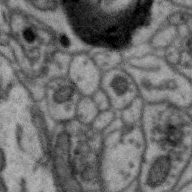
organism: Zebra finch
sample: Brain